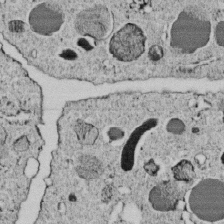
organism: C. elegans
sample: C. elegans embryo early stage